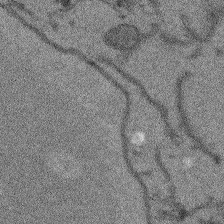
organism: Arabidopsis thaliana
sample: Root tip